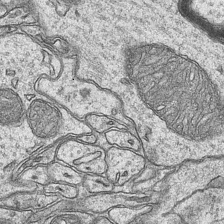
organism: Mouse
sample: CA1 Hippocampus